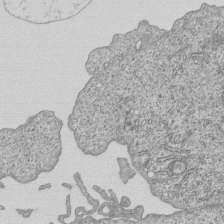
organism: Human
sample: MDA-MB-231 cells